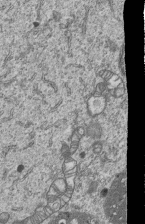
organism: Human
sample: MDA-MB-231 cells